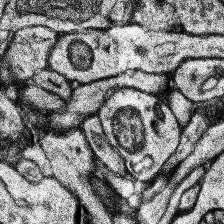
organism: Human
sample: Temporal Lobe